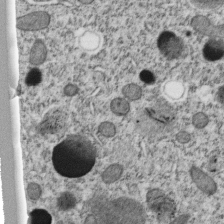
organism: C. elegans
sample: C. elegans embryo early stage